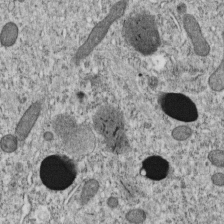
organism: C. elegans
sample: C. elegans embryo early stage